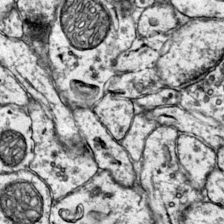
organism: Mouse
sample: Primary visual cortex